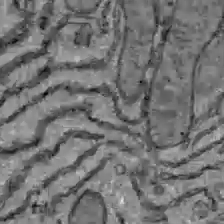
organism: C57BL Mouse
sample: Liver